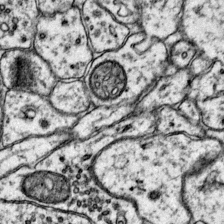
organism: Mouse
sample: Primary visual cortex